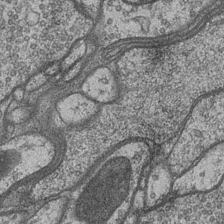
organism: Drosophila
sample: Optic medulla